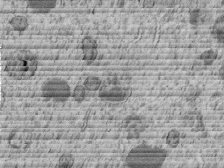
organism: C. elegans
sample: C. elegans embryo early stage